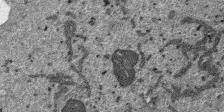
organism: Human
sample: Lung epithelial cells infected with SARS-CoV-2